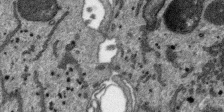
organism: Human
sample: Lung epithelial cells, uninfected (mock) control